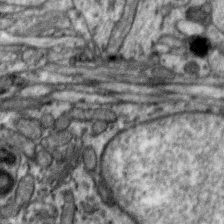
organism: Zebra finch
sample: Brain